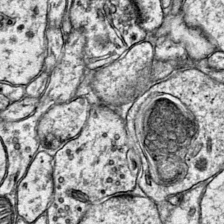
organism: Mouse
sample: Primary visual cortex